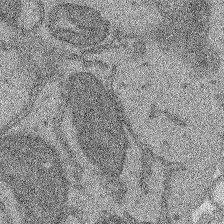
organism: Human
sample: HeLa cells